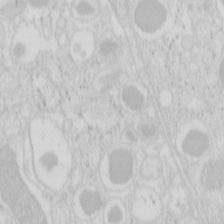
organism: Mouse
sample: Pancreas